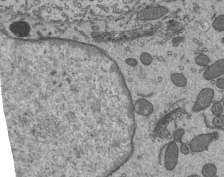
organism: Mouse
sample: Mouse epididymis efferent ductule cilia